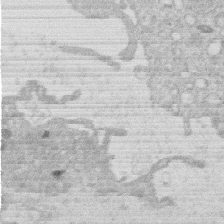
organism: Human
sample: Macrophage cells